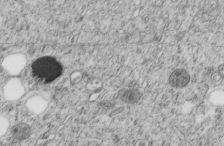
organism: C. elegans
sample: C. elegans embryo early stage